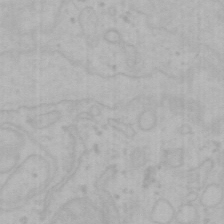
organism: Mouse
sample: Choroid plexus